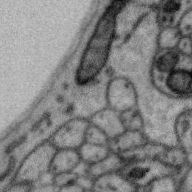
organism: Zebra finch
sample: Brain